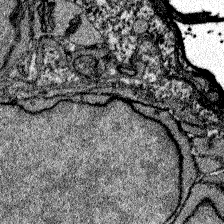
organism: Zebrafish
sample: Larval olfactory bulb